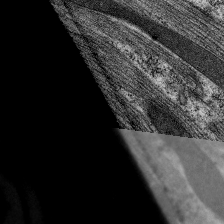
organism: C. elegans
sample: Pharynx